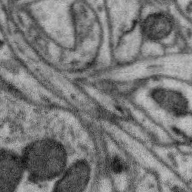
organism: Zebra finch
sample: Brain